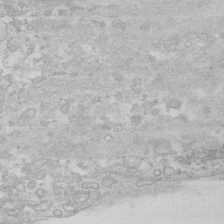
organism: Human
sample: Fibroblast cells